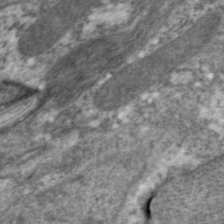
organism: C. elegans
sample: Pharynx